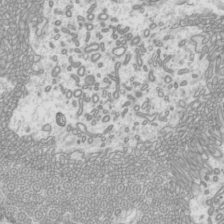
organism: Mouse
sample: Cilia; mouse epididymis